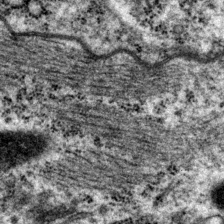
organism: P. pacificus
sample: Pharynx